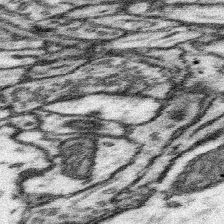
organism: Mouse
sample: Somatosensory cortex neuropil